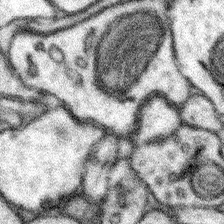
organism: Mouse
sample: Somatosensory cortex neuropil